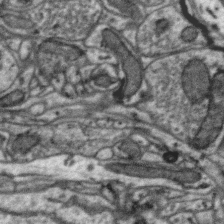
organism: Zebra finch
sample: Brain